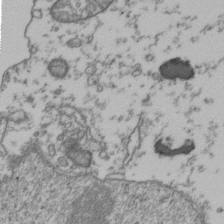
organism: Human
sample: Activated Jurkat CD4+ T cells